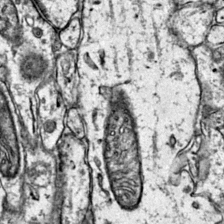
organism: Mouse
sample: Primary visual cortex